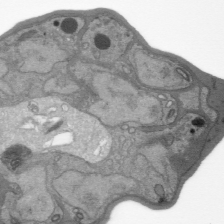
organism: Plasmodium falciparum